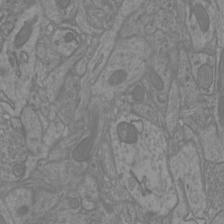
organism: Mouse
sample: Cortical neurons